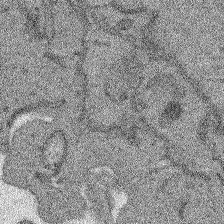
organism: Human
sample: HeLa cells